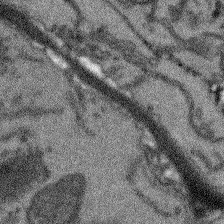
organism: Arabidopsis thaliana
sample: Root tip